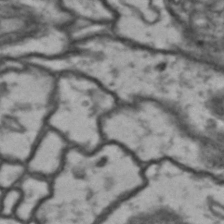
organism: Drosophila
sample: Brain